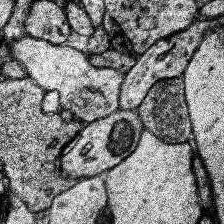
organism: Human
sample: Temporal Lobe